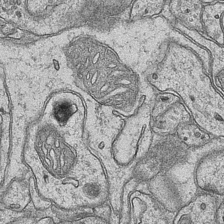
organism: Mouse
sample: CA1 Hippocampus